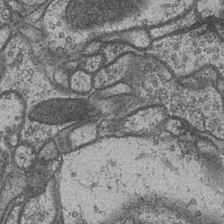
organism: Drosophila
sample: Optic medulla